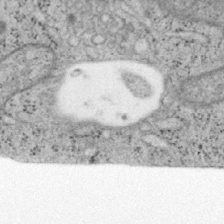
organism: Mouse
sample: OT-I killer T cells with ID8 ovarian cancer cells